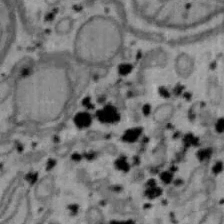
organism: Mouse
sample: Liver